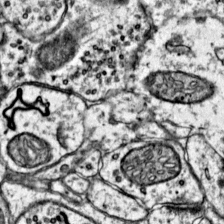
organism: Mouse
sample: Primary visual cortex